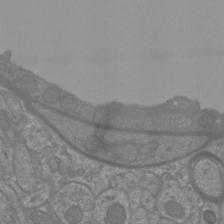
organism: Mouse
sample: Cortical neurons